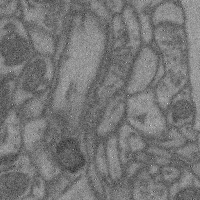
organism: Mouse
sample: Cerebral cortex